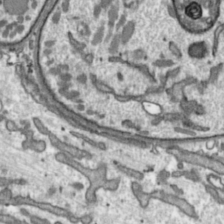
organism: Toxoplasma gondii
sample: Parasites in a vacuole inside a host cell